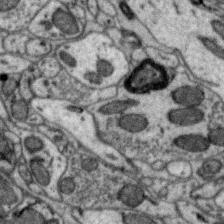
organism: Zebra finch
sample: Brain